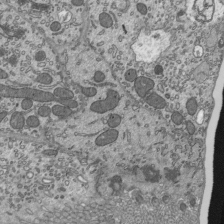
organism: Mouse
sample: Mouse epididymis efferent ductule cilia